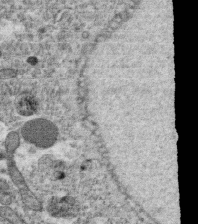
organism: C. elegans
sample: C. elegans oocyte; sperm cells